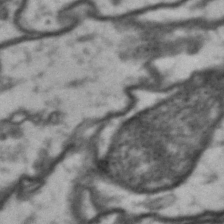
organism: Drosophila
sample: Brain